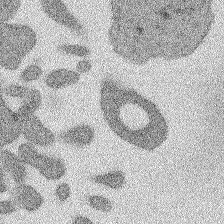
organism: Human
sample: HeLa cells